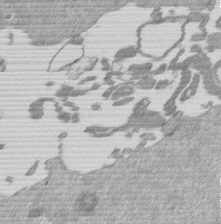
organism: Mouse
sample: Dividing mouse embryo 1 cell stage